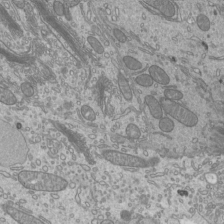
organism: Mouse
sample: Cilia; mouse epididymis